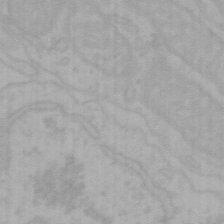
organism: Mouse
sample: Choroid plexus